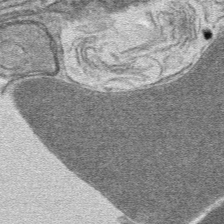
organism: Mouse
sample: Mouse hepatocytes